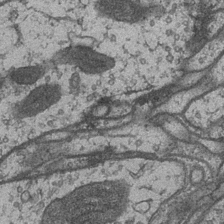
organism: Drosophila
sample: Optic medulla